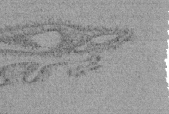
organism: Tetrahymena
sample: Cilia in tetrahymena